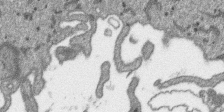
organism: Human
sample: Lung epithelial cells infected with SARS-CoV-2